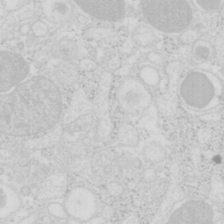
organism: Mouse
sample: Pancreas